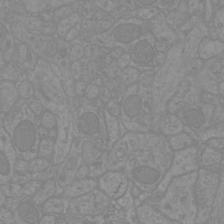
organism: Mouse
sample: Cortical neurons